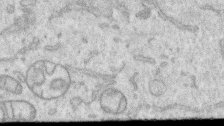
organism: Human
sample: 1205lu cells